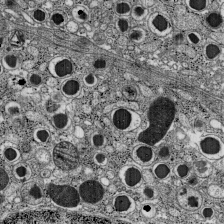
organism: C57BL Mouse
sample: Pancreatic islet